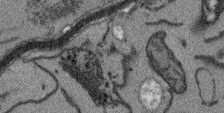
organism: Arabidopsis thaliana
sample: Root tip